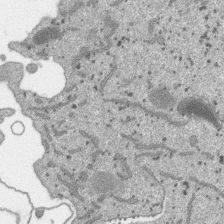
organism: Human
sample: Lung epithelial cells infected with SARS-CoV-2